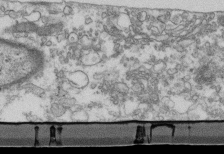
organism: Mouse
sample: Cilia; retinal pigment epithelium